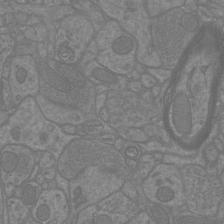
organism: Mouse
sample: Cortical neurons